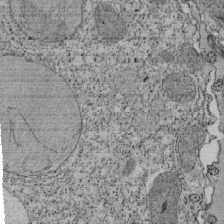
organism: Tetrahymena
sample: Cilia in tetrahymena